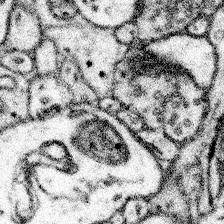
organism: Mouse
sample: Somatosensory cortex neuropil